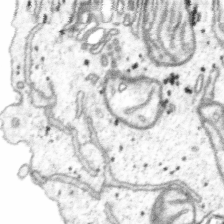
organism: Human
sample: HeLa cells